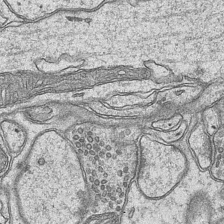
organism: Mouse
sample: CA1 Hippocampus